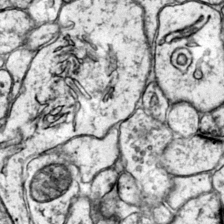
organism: Mouse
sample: Primary visual cortex